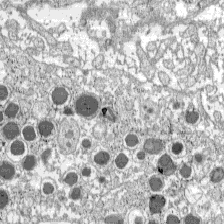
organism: C57BL Mouse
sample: Pancreatic islet